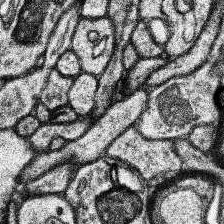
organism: Human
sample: Temporal Lobe